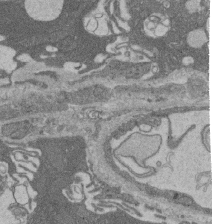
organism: Rat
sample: Salivary granule